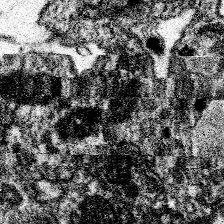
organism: Spongilla lacustris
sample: Neuroid cell